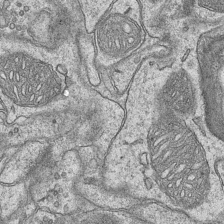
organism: Mouse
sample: CA1 Hippocampus